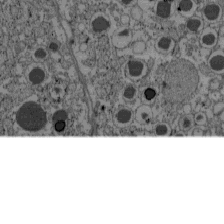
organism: C57BL Mouse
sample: Pancreatic islet